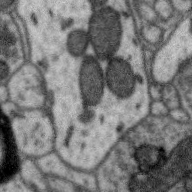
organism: Zebra finch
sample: Brain